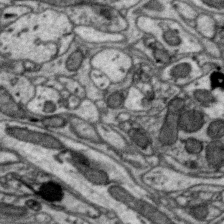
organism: Zebra finch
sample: Brain